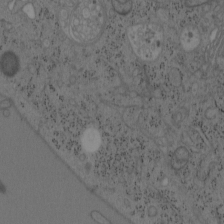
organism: Mouse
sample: OT-I killer T cells with ID8 ovarian cancer cells